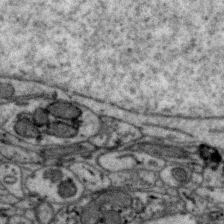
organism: Zebra finch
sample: Brain